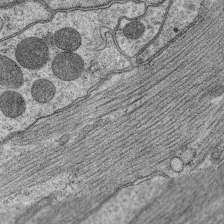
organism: C. elegans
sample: Pharynx